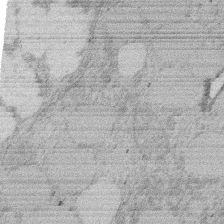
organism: Rat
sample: Salivary granule